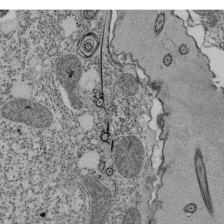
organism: Tetrahymena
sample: Cilia in tetrahymena